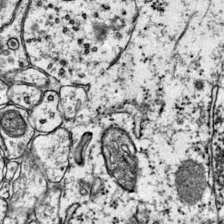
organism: Mouse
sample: Primary visual cortex